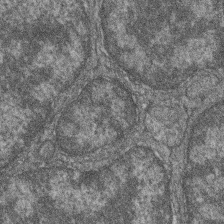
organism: Zebrafish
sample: Cilia; retinal pigment epithelium